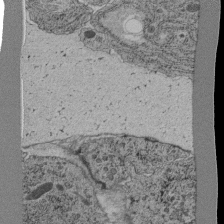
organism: C. elegans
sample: C. elegans pharynx